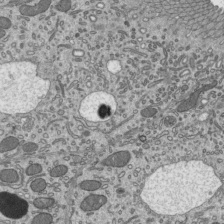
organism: Mouse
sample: Mouse epididymis efferent ductule cilia